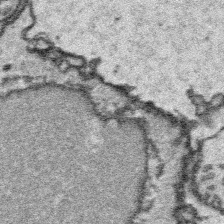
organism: Platynereis dumerilii